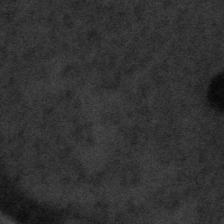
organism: Tuwongella immobilis